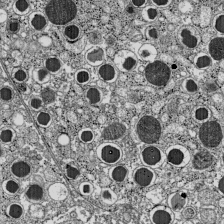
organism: C57BL Mouse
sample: Pancreatic islet